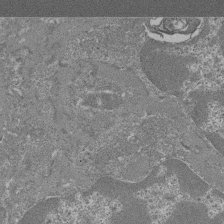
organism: Mouse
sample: Glomerulus